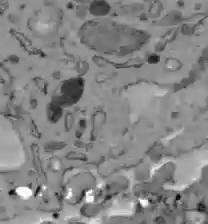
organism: C57BL Mouse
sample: Liver